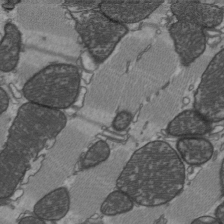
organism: C57BL Mouse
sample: Heart